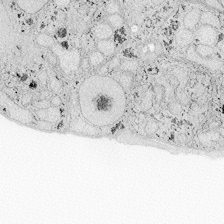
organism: Zebrafish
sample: Whole-Brain